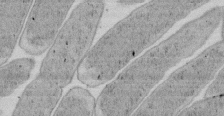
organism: E. coli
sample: Bacterial nucleoid